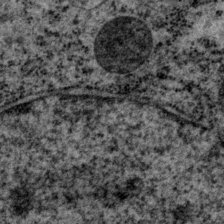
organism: P. pacificus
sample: Pharynx